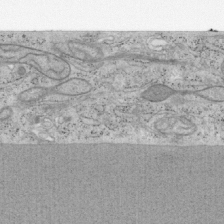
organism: Human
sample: HeLa cells